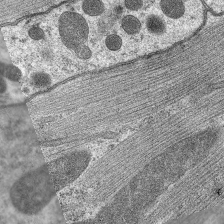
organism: C. elegans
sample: Pharynx